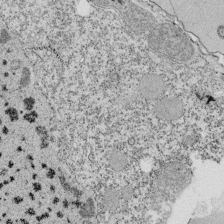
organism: Tetrahymena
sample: Cilia in tetrahymena